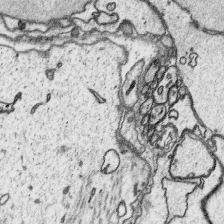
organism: Platynereis dumerilii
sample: Parapodia